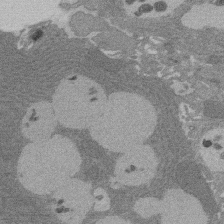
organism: Rat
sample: Salivary granule